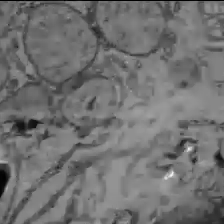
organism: C57BL Mouse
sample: Liver